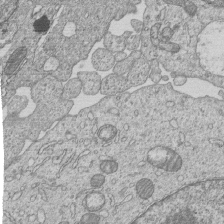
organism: Human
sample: MDA-MB-231 cells